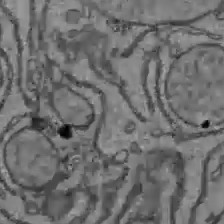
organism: C57BL Mouse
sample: Liver